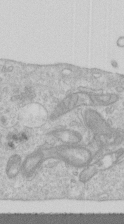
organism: Human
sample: Centriole in RPE cells